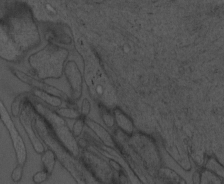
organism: Mouse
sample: OT-I killer T cells with ID8 ovarian cancer cells